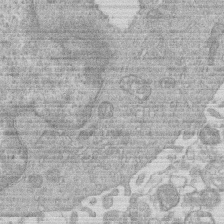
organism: Human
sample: Macrophage cells